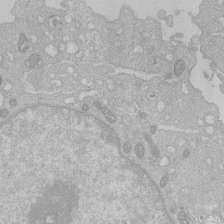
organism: Human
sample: Macrophage cells